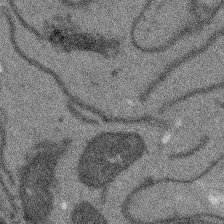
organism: Arabidopsis thaliana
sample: Root tip